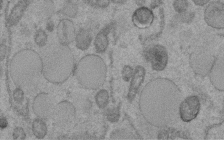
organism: C. elegans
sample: C. elegans embryo early stage